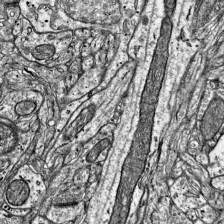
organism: Mouse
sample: Visual Cortex